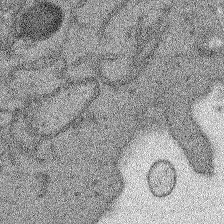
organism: Human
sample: HeLa cells